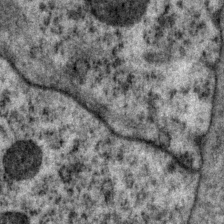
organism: P. pacificus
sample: Pharynx